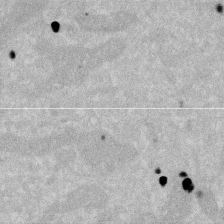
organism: Human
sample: HIV infected U937 cells